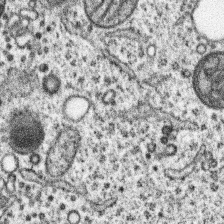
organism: Human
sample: HeLa cells